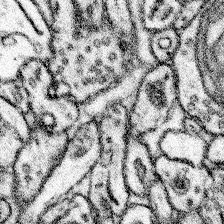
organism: Mouse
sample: Somatosensory cortex neuropil